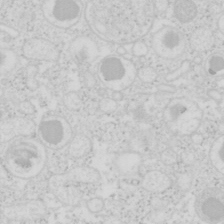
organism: Mouse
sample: Pancreas